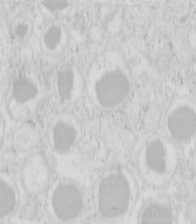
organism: Mouse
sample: Pancreas